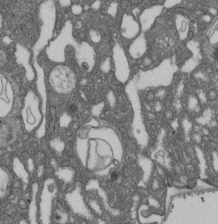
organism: Drosophila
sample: Nephrocyte